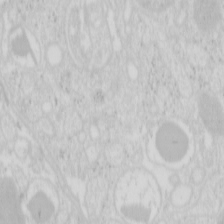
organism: Mouse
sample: Pancreas